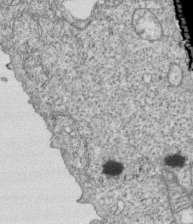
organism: Human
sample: HeLa cell HIV synapse